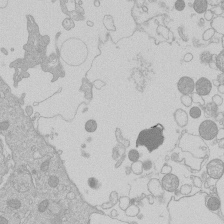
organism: Human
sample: Macrophage cells